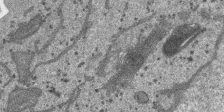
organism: Human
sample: Lung epithelial cells infected with SARS-CoV-2